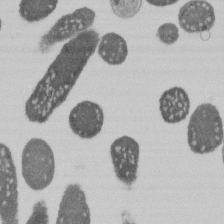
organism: E. coli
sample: Bacterial nucleoid